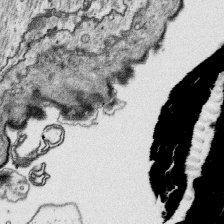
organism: Platynereis dumerilii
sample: Parapodia